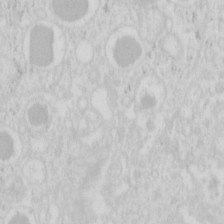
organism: Mouse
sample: Pancreas